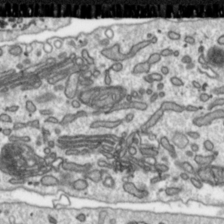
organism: Toxoplasma gondii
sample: Parasites in a vacuole inside a host cell